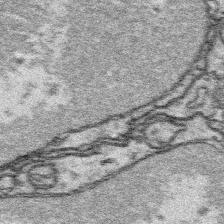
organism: Platynereis dumerilii